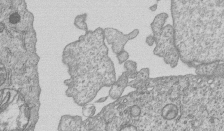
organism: Human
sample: MDA-MB-231 cells